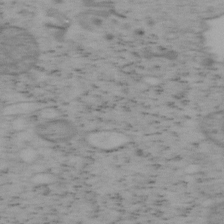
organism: Mouse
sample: OT-I killer T cells with ID8 ovarian cancer cells